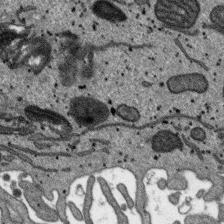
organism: Human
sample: Lung epithelial cells, uninfected (mock) control